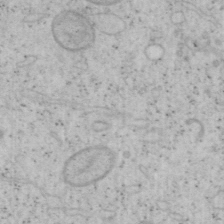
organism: Human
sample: HeLa cells